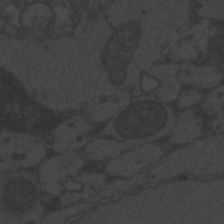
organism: Zebrafish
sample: Macrophage infected with Toxoplasma gondii